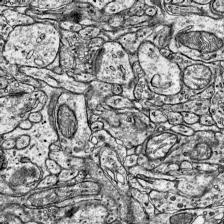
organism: Mouse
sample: Visual Cortex